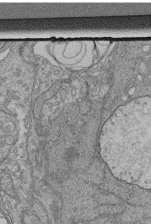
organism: Human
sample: Retinal organoid Rod and Cone cells